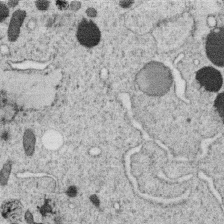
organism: C. elegans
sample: C. elegans oocyte; sperm cells